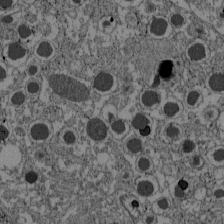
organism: C57BL Mouse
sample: Pancreatic islet